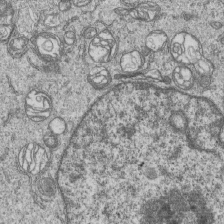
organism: Human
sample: MDA-MB-231 cells